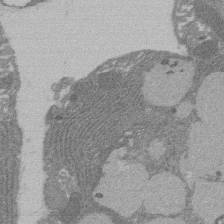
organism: Rat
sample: Salivary granule